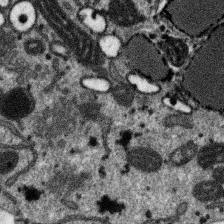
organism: Human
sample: Lung epithelial cells infected with SARS-CoV-2